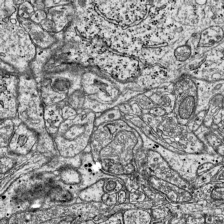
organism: Mouse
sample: Visual Cortex